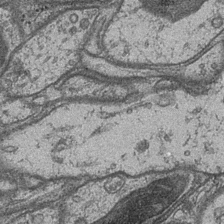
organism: Drosophila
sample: Optic medulla